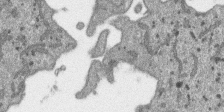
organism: Human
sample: Lung epithelial cells infected with SARS-CoV-2